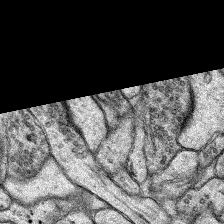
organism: Rat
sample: Hippocampus